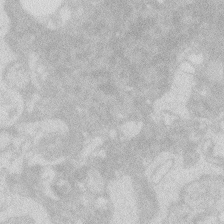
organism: Zebrafish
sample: Macrophage